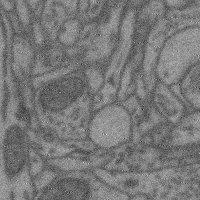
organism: Mouse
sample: Cerebral cortex